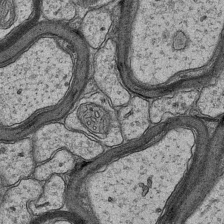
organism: Mouse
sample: CA1 Hippocampus